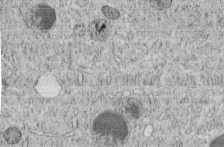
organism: C. elegans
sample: C. elegans embryo early stage